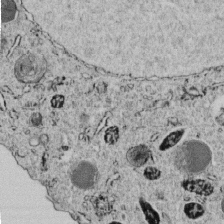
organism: C. elegans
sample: C. elegans embryo early stage